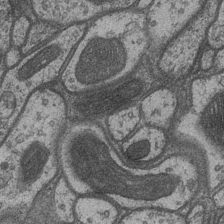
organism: Drosophila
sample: Optic medulla